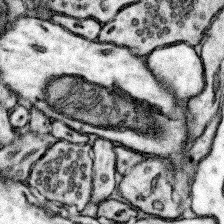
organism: Mouse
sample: Somatosensory cortex neuropil